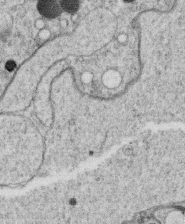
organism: C. elegans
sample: C. elegans oocyte; sperm cells